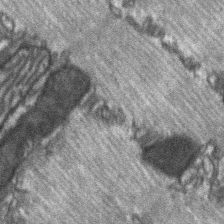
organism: C57BL Mouse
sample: Soleus